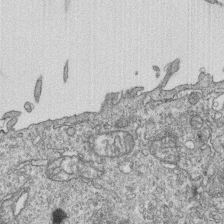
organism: Human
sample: HeLa cell HIV synapse